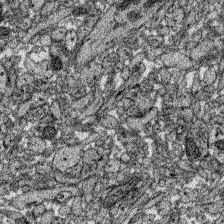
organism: Zebrafish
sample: Larval olfactory bulb